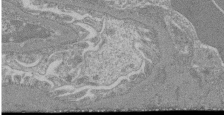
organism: Mouse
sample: Glomerulus